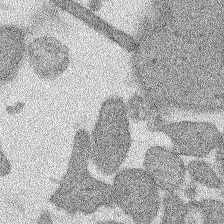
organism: Human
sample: HeLa cells